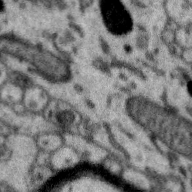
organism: Zebra finch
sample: Brain